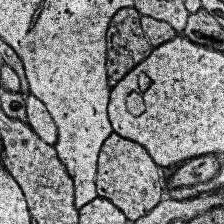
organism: Human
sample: Temporal Lobe